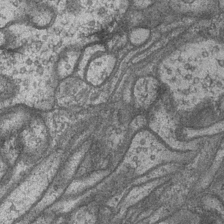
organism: Drosophila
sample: Optic medulla